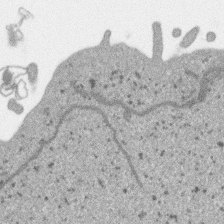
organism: Human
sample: Lung epithelial cells infected with SARS-CoV-2